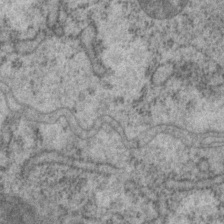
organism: P. pacificus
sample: Pharynx